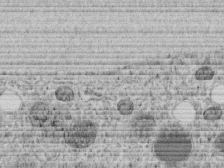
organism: C. elegans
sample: C. elegans embryo early stage